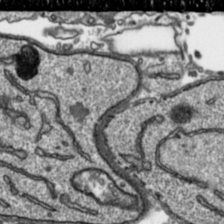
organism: Toxoplasma gondii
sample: Parasites in a vacuole inside a host cell